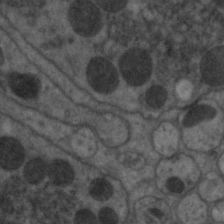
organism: C. elegans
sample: Pharynx